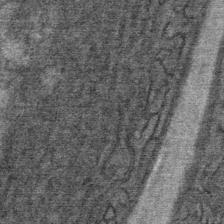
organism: Mouse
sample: Mouse Salivary gland